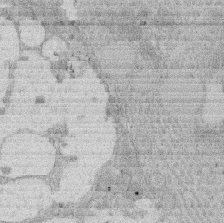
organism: Rat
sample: Salivary granule